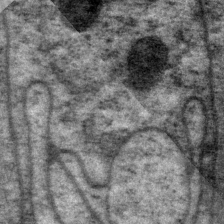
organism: P. pacificus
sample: Pharynx